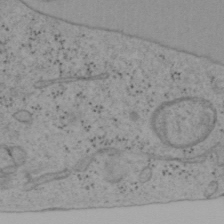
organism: Human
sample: HeLa cells